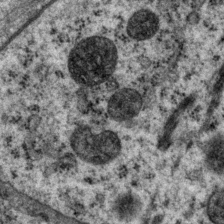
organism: P. pacificus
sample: Pharynx